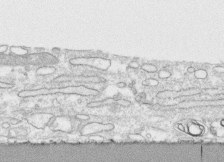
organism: Human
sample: CRL-1474